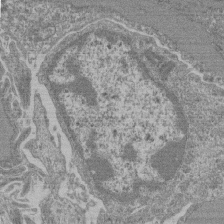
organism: Mouse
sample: Glomerulus